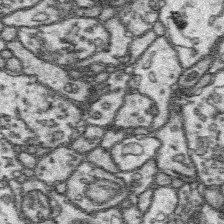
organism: Platynereis dumerilii